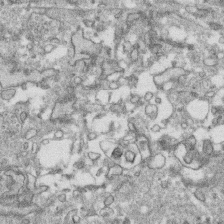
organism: Human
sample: CRL-1474